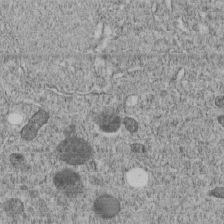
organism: C. elegans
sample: C. elegans embryo early stage